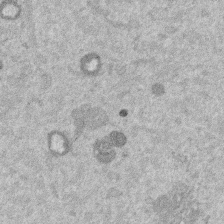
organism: Mouse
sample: Dividing mouse embryo 1 cell stage